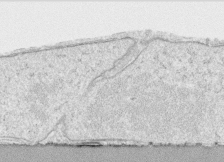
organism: Human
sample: CRL-1474